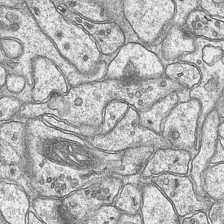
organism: Mouse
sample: CA1 Hippocampus